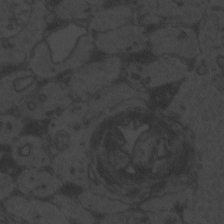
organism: Zebrafish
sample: Macrophage infected with Toxoplasma gondii